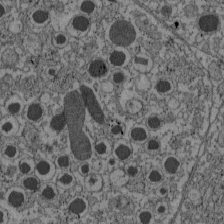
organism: C57BL Mouse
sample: Pancreatic islet